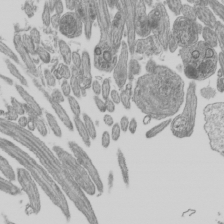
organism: Mouse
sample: Cilia; mouse epididymis